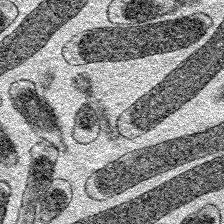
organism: E. coli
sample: E. Coli Bacteria